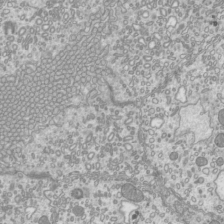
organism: Mouse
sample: Cilia; mouse epididymis